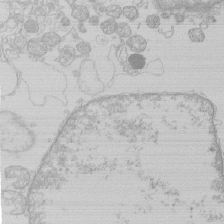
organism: Human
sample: Macrophage cells